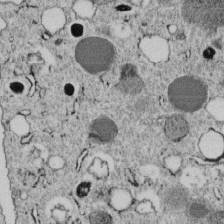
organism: C. elegans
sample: C. elegans embryo early stage